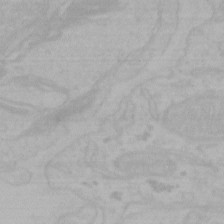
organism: Mouse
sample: Choroid plexus